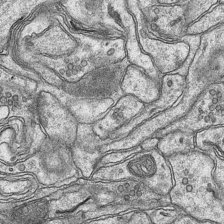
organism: Mouse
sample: CA1 Hippocampus